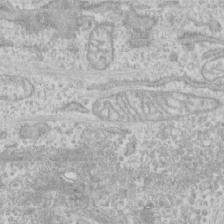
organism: Human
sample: CRL-1474